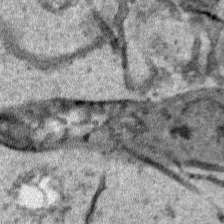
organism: Human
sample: Mitochondria in HCT116 cells